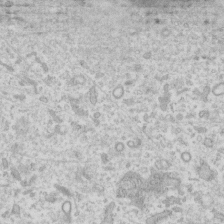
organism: Human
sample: Fibroblast cells